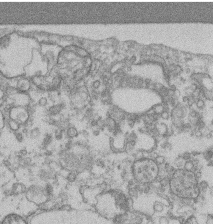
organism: Mouse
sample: T cell stromal cell synapse